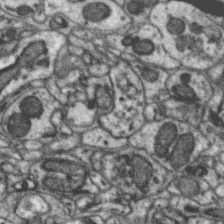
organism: Zebra finch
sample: Brain